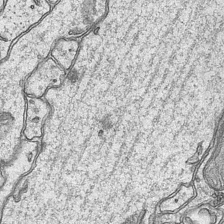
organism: Mouse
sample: CA1 Hippocampus